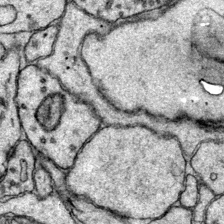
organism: Mouse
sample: Primary visual cortex